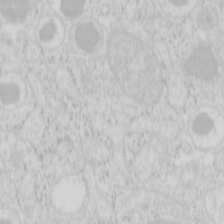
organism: Mouse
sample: Pancreas